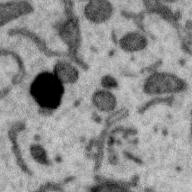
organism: Zebra finch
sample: Brain